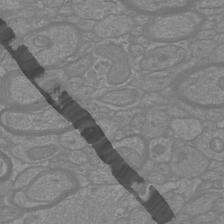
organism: Mouse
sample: Cortical neurons